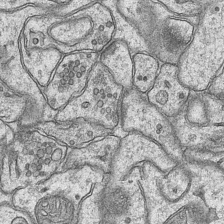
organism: Mouse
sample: CA1 Hippocampus